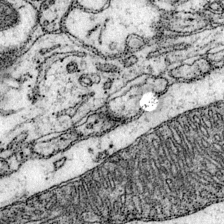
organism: Mouse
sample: Primary visual cortex